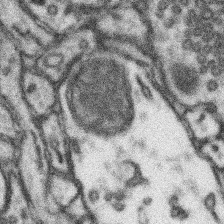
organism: Mouse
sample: Somatosensory cortex neuropil